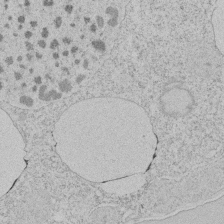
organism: Tetrahymena